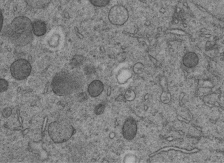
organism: C. elegans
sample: C. elegans embryo early stage